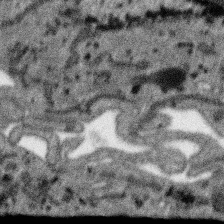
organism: Human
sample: Lung epithelial cells infected with SARS-CoV-2